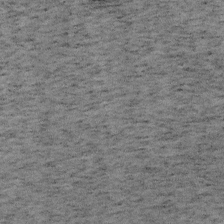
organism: Mouse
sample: OT-I killer T cells with ID8 ovarian cancer cells